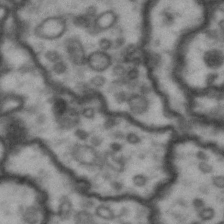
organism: Drosophila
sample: Brain